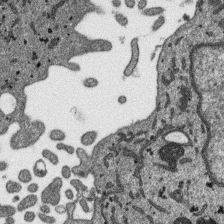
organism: Human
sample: Lung epithelial cells infected with SARS-CoV-2